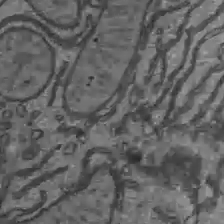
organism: C57BL Mouse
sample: Liver